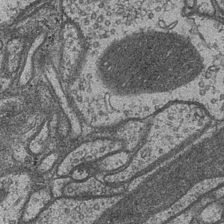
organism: Drosophila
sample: Optic medulla